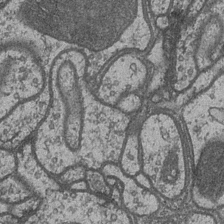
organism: Drosophila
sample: Optic medulla